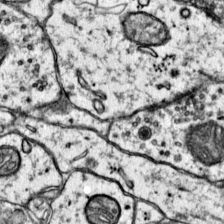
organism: Mouse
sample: Primary visual cortex